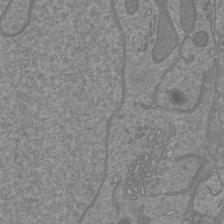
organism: Mouse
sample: Cortical neurons